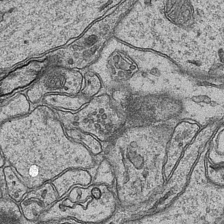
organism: Mouse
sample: CA1 Hippocampus